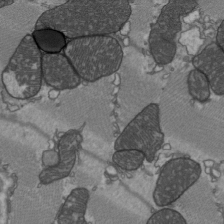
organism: C57BL Mouse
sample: Heart